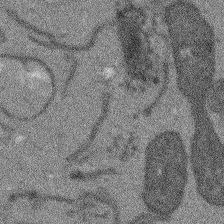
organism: Arabidopsis thaliana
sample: Root tip